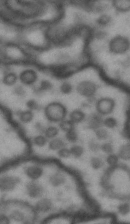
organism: Drosophila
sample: Brain